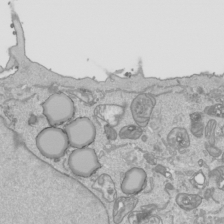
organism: Human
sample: Mitochondria in HCT116 cells